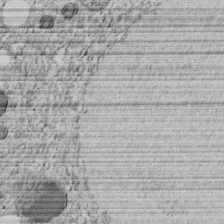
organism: C. elegans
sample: C. elegans embryo early stage